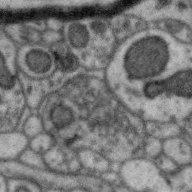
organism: Zebra finch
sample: Brain